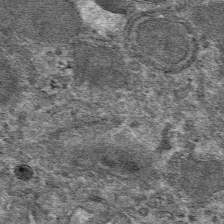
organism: Mouse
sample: Mouse hepatocytes